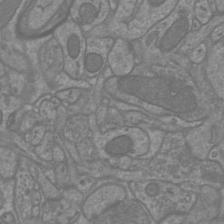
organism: Mouse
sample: Cortical neurons